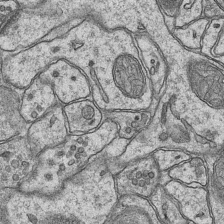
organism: Mouse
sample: CA1 Hippocampus